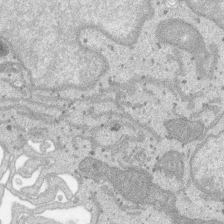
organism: Human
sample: Lung epithelial cells infected with SARS-CoV-2